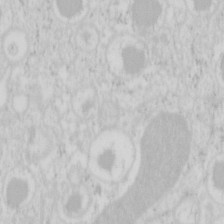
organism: Mouse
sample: Pancreas